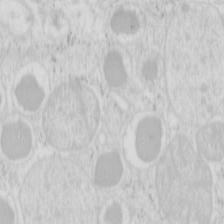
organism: Mouse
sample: Pancreas